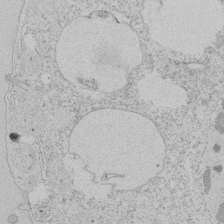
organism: Tetrahymena